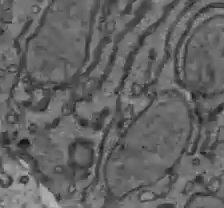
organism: C57BL Mouse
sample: Liver